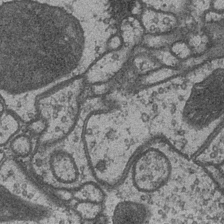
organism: Drosophila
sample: Optic medulla